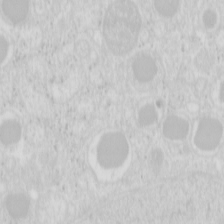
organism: Mouse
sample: Pancreas